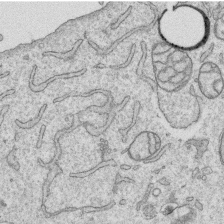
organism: Human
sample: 1205lu cells